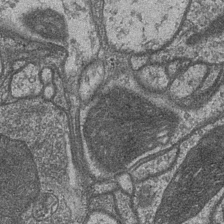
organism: Drosophila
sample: Optic medulla